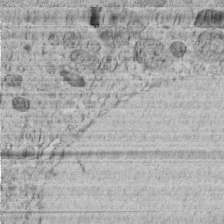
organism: C. elegans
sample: C. elegans embryo early stage